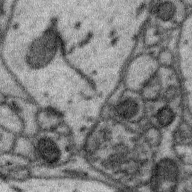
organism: Zebra finch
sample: Brain